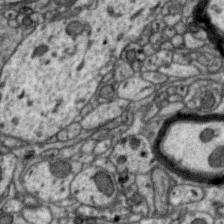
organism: Zebra finch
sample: Brain